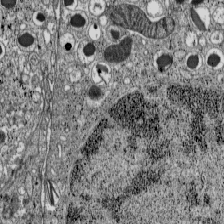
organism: C57BL Mouse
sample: Pancreatic islet